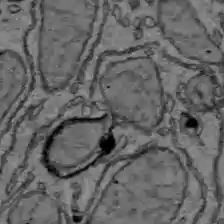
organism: C57BL Mouse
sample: Liver